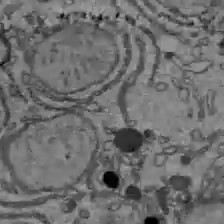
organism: C57BL Mouse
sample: Liver